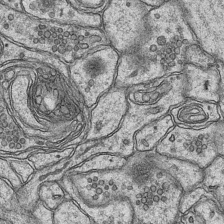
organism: Mouse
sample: CA1 Hippocampus